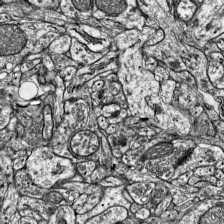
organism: Mouse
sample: Visual Cortex